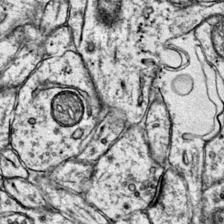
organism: Mouse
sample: Primary visual cortex